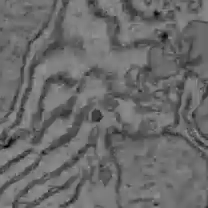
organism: C57BL Mouse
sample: Liver